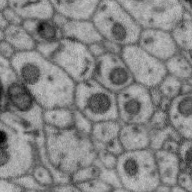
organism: Zebra finch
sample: Brain